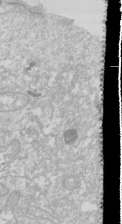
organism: Drosophila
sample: Cell division; meiosis; drosophila spermatocytes